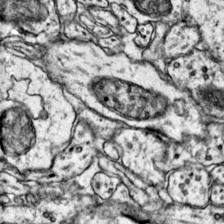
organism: Mouse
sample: Primary visual cortex